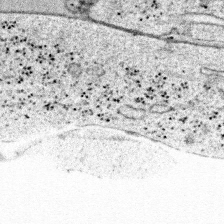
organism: Human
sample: HeLa cells